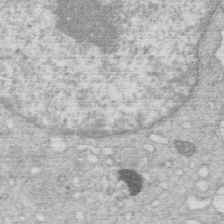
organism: Human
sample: Macrophage cells